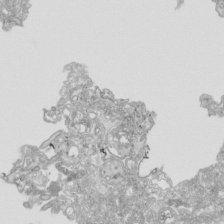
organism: Human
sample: Mitochondria in HCT116 cells